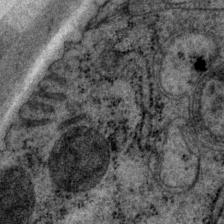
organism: P. pacificus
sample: Pharynx